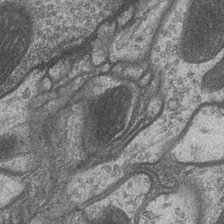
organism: Drosophila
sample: Optic medulla